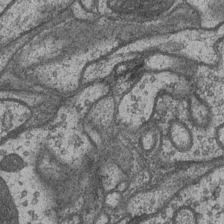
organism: Drosophila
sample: Optic medulla